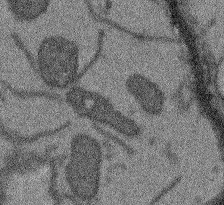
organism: Arabidopsis thaliana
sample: Root tip